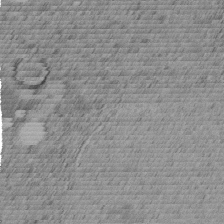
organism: C. elegans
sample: C. elegans embryo early stage